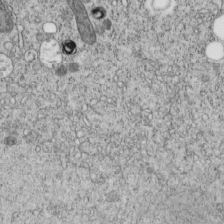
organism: C. elegans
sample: C. elegans embryo early stage